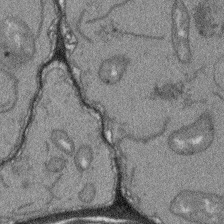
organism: Arabidopsis thaliana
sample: Root tip